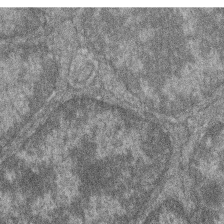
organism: Zebrafish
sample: Cilia; retinal pigment epithelium